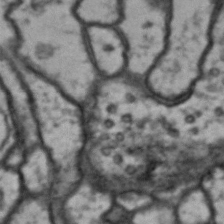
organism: Drosophila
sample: Brain